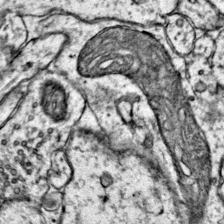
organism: Mouse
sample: Primary visual cortex